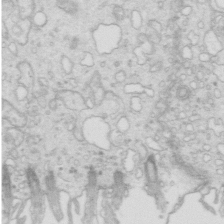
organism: Mouse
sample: Multiciliated cells